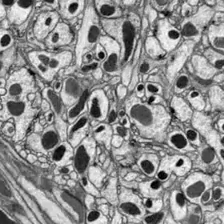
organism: Drosophila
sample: Optic lobe